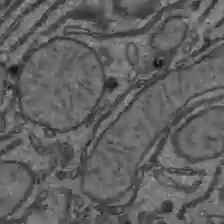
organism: C57BL Mouse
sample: Liver